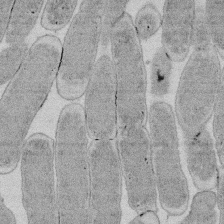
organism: E. coli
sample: Bacterial nucleoid